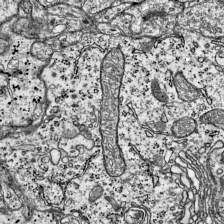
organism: Mouse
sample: Visual Cortex